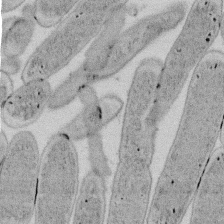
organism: E. coli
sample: Bacterial nucleoid